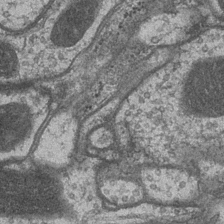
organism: Drosophila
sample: Optic medulla